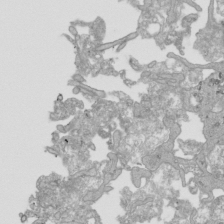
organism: Human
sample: Mitochondria in HCT116 cells